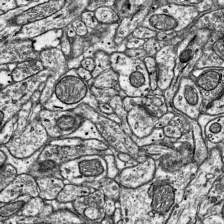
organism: Mouse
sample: Visual Cortex